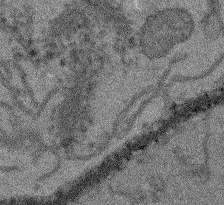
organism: Arabidopsis thaliana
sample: Root tip